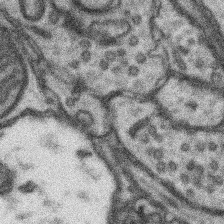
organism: Mouse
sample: Somatosensory cortex neuropil